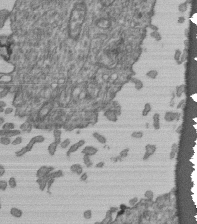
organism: Human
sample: Retinal organoid Rod and Cone cells